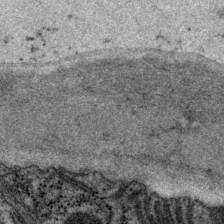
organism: P. pacificus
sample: Pharynx